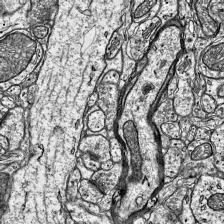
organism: Mouse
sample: Visual Cortex